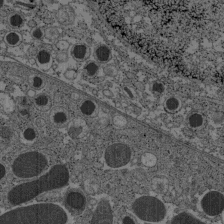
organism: C57BL Mouse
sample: Pancreatic islet